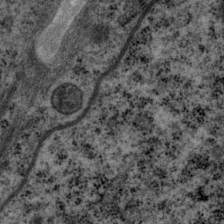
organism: P. pacificus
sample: Pharynx